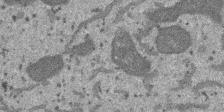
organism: Human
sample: Lung epithelial cells infected with SARS-CoV-2